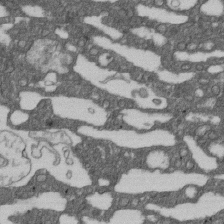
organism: Drosophila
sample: Nephrocyte